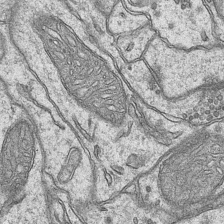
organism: Mouse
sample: CA1 Hippocampus